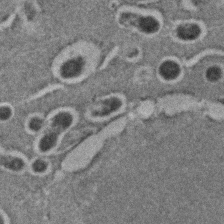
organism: C. elegans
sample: C. elegans embryo